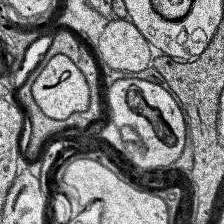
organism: Human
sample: Temporal Lobe